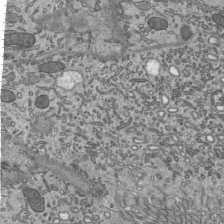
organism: Mouse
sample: Mouse epididymis efferent ductule cilia